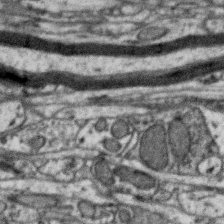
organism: Zebra finch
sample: Brain